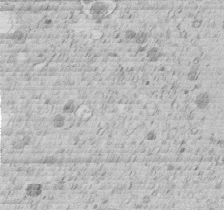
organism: C. elegans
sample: C. elegans embryo early stage